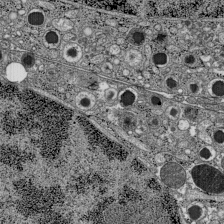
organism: C57BL Mouse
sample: Pancreatic islet